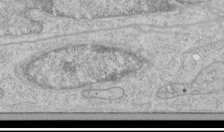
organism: Human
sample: Mitochondria in HCT116 cells